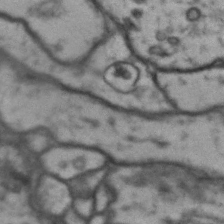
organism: Drosophila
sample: Brain